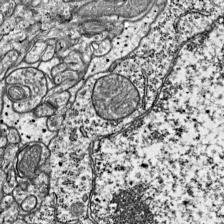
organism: Mouse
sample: Visual Cortex